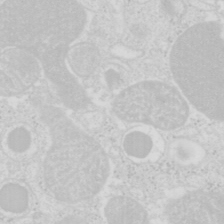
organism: Mouse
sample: Pancreas